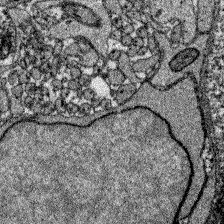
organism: Zebrafish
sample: Larval olfactory bulb